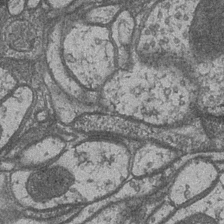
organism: Drosophila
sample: Optic medulla